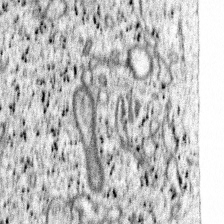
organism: Human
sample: HeLa cells